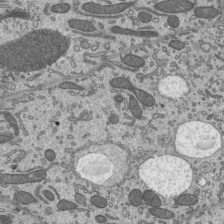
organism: Mouse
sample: Mouse epididymis efferent ductule cilia